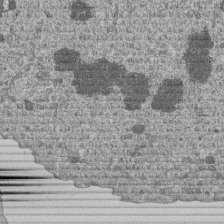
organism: Human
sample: MDA-MB-231 cells